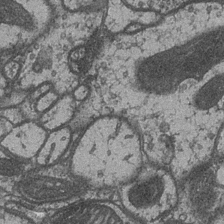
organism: Drosophila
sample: Optic medulla